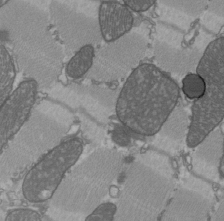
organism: C57BL Mouse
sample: Heart